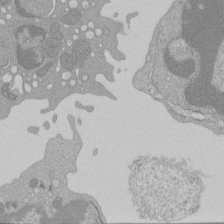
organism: Mouse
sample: Activated Pmel transgenic CD8+ T Cells